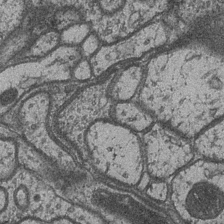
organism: Drosophila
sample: Optic medulla